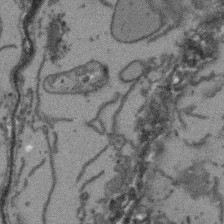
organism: Arabidopsis thaliana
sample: Root tip